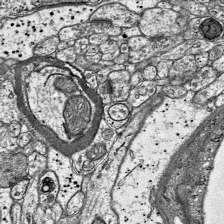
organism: Mouse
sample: Visual Cortex